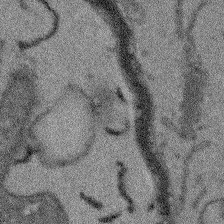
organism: Arabidopsis thaliana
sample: Root tip